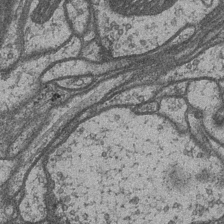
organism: Drosophila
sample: Optic medulla